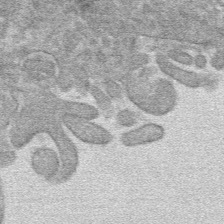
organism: Mouse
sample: Mouse hepatocytes